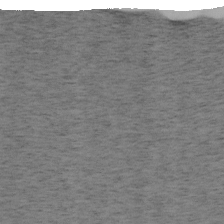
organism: Mouse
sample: OT-I killer T cells with ID8 ovarian cancer cells